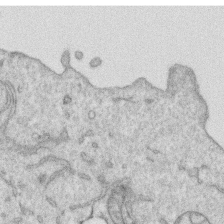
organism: Human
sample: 1205lu cells